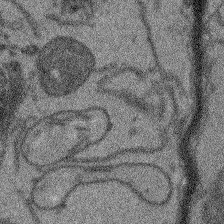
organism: Arabidopsis thaliana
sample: Root tip